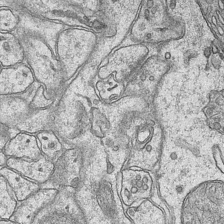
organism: Mouse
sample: CA1 Hippocampus